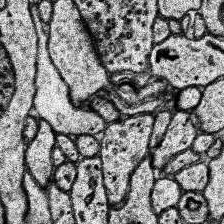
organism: Human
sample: Temporal Lobe